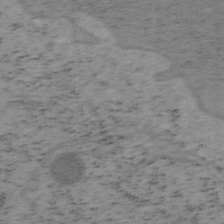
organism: Mouse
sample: OT-I killer T cells with ID8 ovarian cancer cells